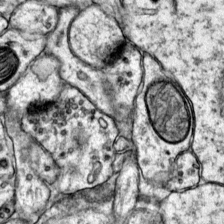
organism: Mouse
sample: Primary visual cortex